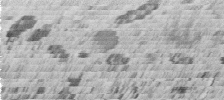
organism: C. elegans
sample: C. elegans embryo early stage